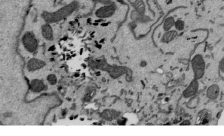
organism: Mouse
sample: ED-1 cell nuclei; centrioles